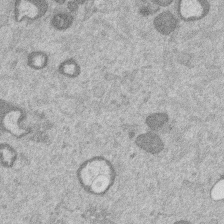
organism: Mouse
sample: Dividing mouse embryo 1 cell stage